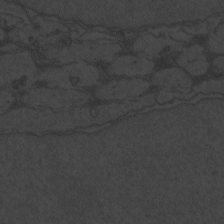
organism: Zebrafish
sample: Macrophage infected with Toxoplasma gondii